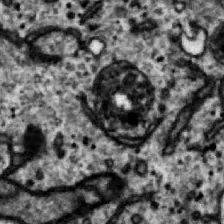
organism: Human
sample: HeLa cells